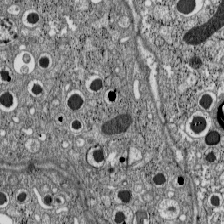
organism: C57BL Mouse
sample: Pancreatic islet